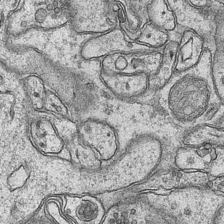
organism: Mouse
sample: CA1 Hippocampus